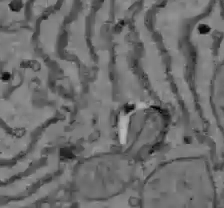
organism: C57BL Mouse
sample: Liver